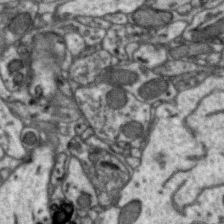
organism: Zebra finch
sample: Brain